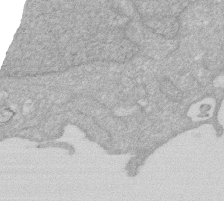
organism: Human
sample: HIV infected U937 cells